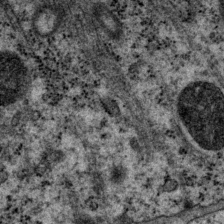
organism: P. pacificus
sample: Pharynx